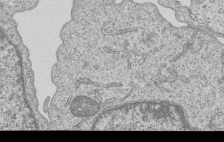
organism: Human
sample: MDA-MB-231 cells